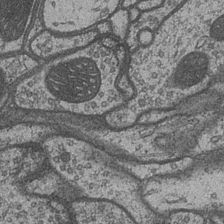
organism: Drosophila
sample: Optic medulla